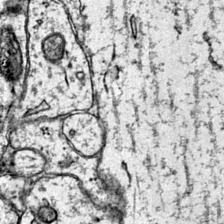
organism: Mouse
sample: Primary visual cortex